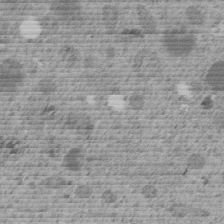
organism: C. elegans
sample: C. elegans embryo early stage